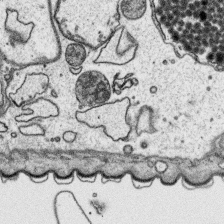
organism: Platynereis dumerilii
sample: Parapodia